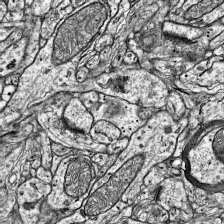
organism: Mouse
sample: Visual Cortex